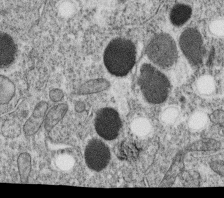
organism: C. elegans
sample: C. elegans oocyte; sperm cells